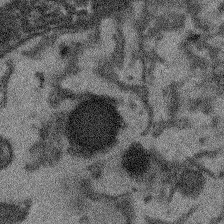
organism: Arabidopsis thaliana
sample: Root tip